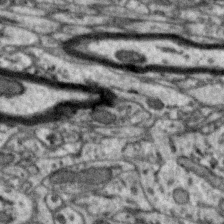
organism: Zebra finch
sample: Brain